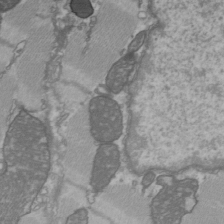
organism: C57BL Mouse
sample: Heart